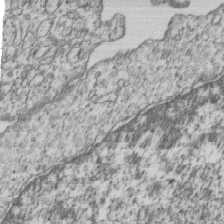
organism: Human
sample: MDA-MB-231 cells